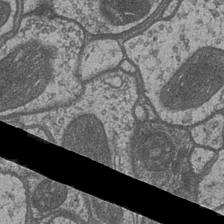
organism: Drosophila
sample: Optic medulla